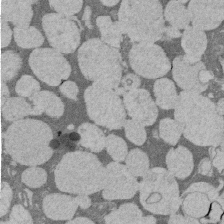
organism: Rat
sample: Salivary granule